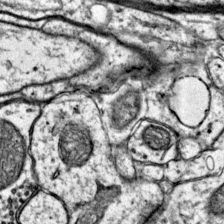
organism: Mouse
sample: Primary visual cortex